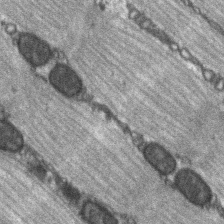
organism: C57BL Mouse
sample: Soleus